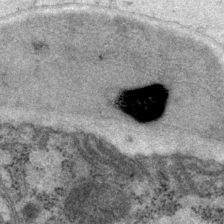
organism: P. pacificus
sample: Pharynx